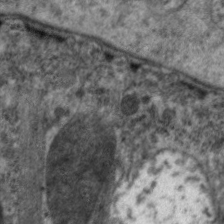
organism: C. elegans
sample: Pharynx